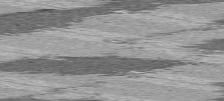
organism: C57BL Mouse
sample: Heart